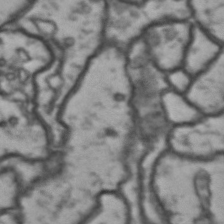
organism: Drosophila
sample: Brain